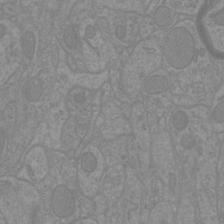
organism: Mouse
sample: Cortical neurons